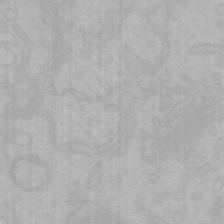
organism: Mouse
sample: Choroid plexus